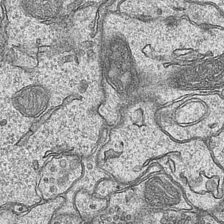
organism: Mouse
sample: CA1 Hippocampus